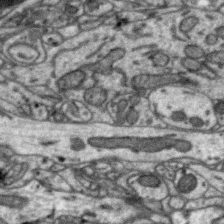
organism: Zebra finch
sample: Brain